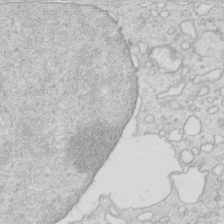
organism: Mouse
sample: Multiciliated cells